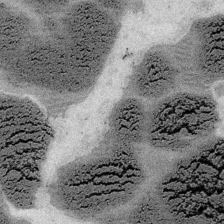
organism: Embia sp.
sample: Silk gland